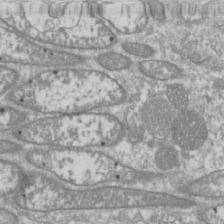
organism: Drosophila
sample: Cell division; meiosis; drosophila spermatocytes